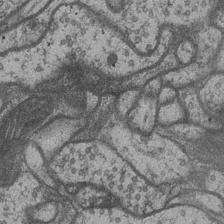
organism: Drosophila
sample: Optic medulla